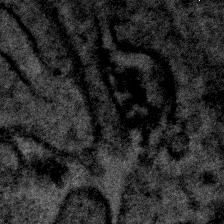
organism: Human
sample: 1205lu cells